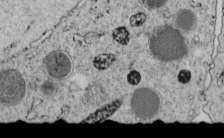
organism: C. elegans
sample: C. elegans embryo early stage